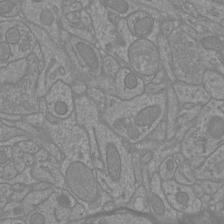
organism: Mouse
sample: Cortical neurons